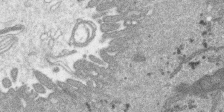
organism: Human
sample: Lung epithelial cells infected with SARS-CoV-2